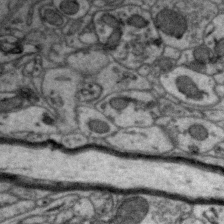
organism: Zebra finch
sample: Brain